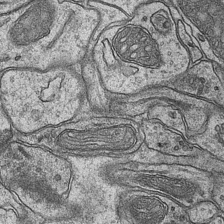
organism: Mouse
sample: CA1 Hippocampus